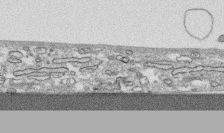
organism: Human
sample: CRL-1474